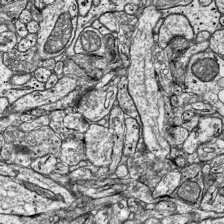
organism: Mouse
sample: Visual Cortex